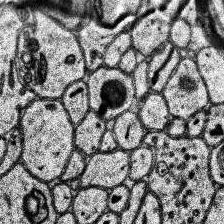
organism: Human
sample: Temporal Lobe